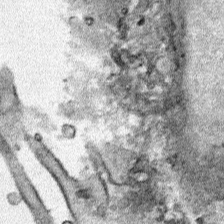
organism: Human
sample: Mitochondria in HCT116 cells